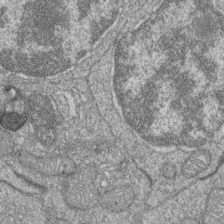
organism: Zebrafish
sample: Cilia; retinal pigment epithelium